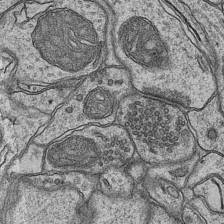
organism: Mouse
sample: CA1 Hippocampus